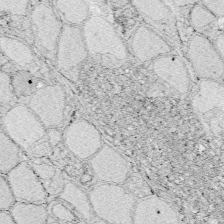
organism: Zebrafish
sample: Whole-Brain